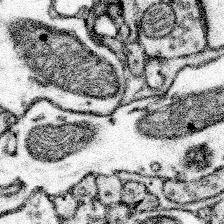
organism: Mouse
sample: Somatosensory cortex neuropil